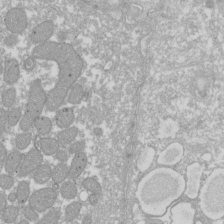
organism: Xenopus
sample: Cilia; centrioles in frog embryo cells